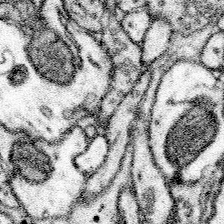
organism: Mouse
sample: Somatosensory cortex neuropil